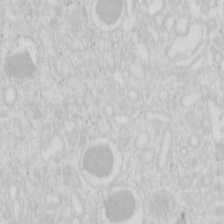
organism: Mouse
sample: Pancreas